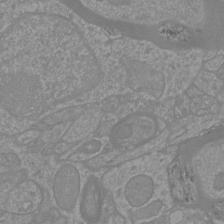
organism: Mouse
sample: Cortical neurons